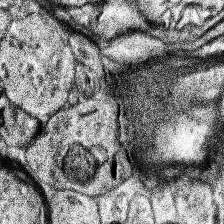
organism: Human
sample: Temporal Lobe